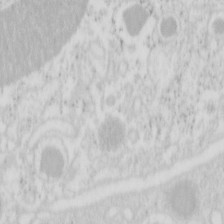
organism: Mouse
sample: Pancreas